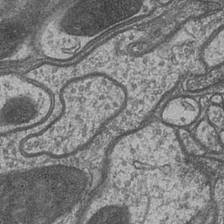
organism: Drosophila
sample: Optic medulla